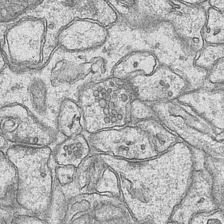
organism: Mouse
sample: CA1 Hippocampus